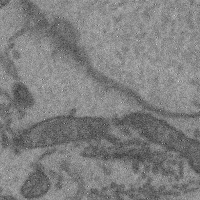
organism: Mouse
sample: Cerebral cortex